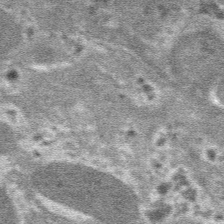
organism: Mouse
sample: Mouse hepatocytes